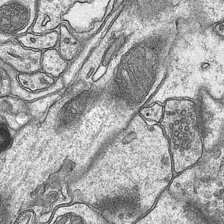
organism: Mouse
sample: CA1 Hippocampus